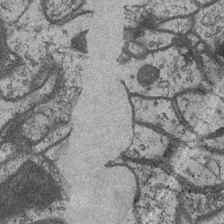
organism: Drosophila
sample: Optic medulla